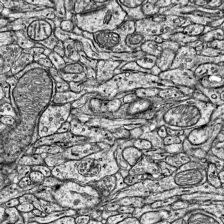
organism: Mouse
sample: Visual Cortex